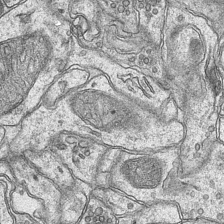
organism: Mouse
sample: CA1 Hippocampus